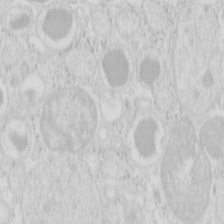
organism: Mouse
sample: Pancreas